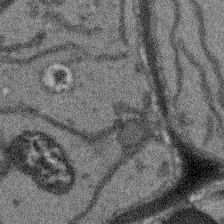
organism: Arabidopsis thaliana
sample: Root tip